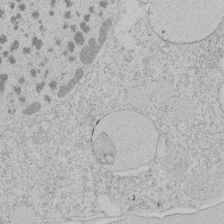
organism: Tetrahymena